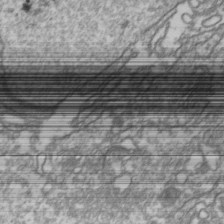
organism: Drosophila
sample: Cell division; meiosis; drosophila spermatocytes